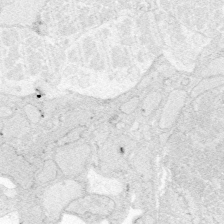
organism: Zebrafish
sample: Whole-Brain